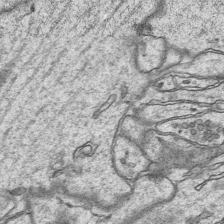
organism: Mouse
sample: CA1 Hippocampus